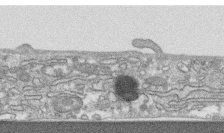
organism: Human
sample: CRL-1474